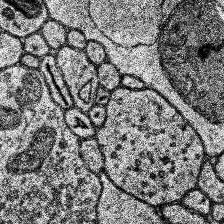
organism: Human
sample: Temporal Lobe